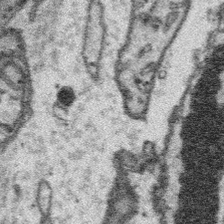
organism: Platynereis dumerilii